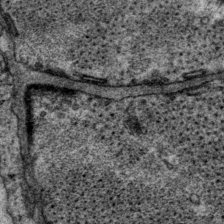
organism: P. pacificus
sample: Pharynx